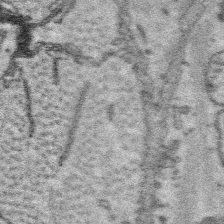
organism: Platynereis dumerilii